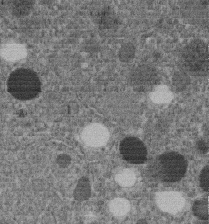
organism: C. elegans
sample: C. elegans embryo early stage